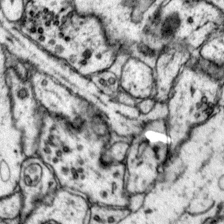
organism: Mouse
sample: Primary visual cortex